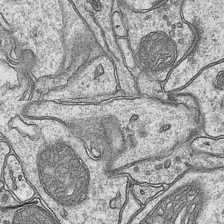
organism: Mouse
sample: CA1 Hippocampus